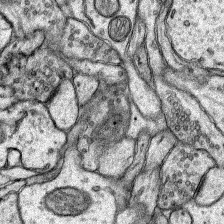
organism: Rat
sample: Hippocampus